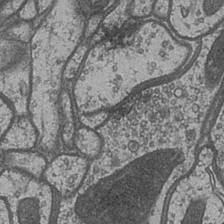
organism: Drosophila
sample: Optic medulla